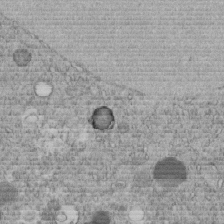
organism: C. elegans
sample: C. elegans embryo early stage